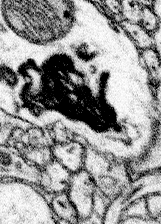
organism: Mouse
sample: Somatosensory cortex neuropil